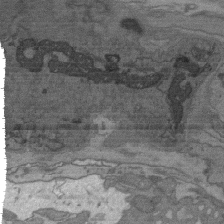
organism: C. elegans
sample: AFD neurons C. elegans